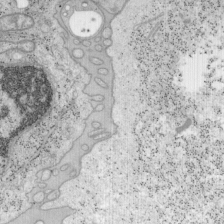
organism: Mouse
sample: OT-I killer T cells with ID8 ovarian cancer cells